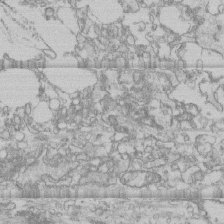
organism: Human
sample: CRL-1474